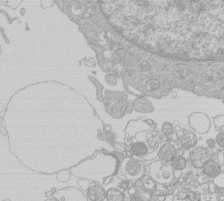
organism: Human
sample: Macrophage cells